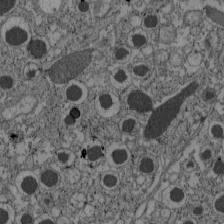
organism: C57BL Mouse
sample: Pancreatic islet